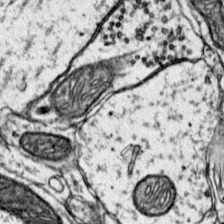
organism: Mouse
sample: Primary visual cortex